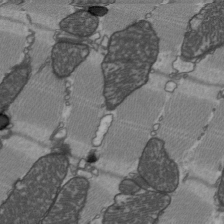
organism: C57BL Mouse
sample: Heart